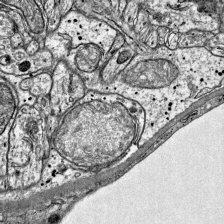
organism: Mouse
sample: Visual Cortex